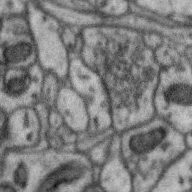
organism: Zebra finch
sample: Brain